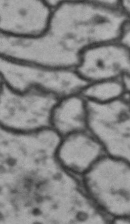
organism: Drosophila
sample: Brain